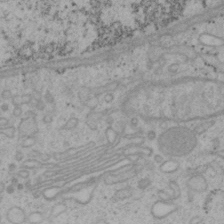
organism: Human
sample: HeLa cells